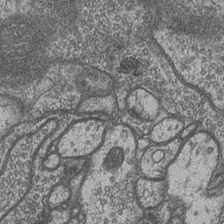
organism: Drosophila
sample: Optic medulla